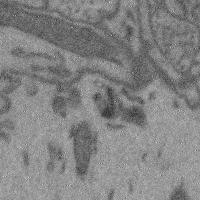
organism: Mouse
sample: Cerebral cortex